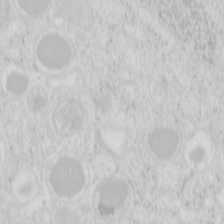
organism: Mouse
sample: Pancreas